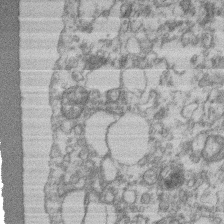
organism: Mouse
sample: T cell stromal cell synapse